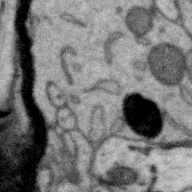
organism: Zebra finch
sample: Brain